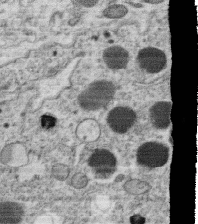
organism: C. elegans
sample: C. elegans oocyte; sperm cells